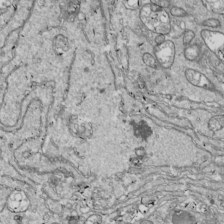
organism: Drosophila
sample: Cell division; meiosis; drosophila spermatocytes